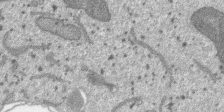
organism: Human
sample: Lung epithelial cells infected with SARS-CoV-2